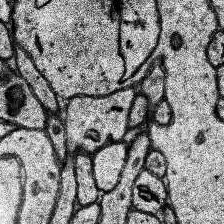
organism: Human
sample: Temporal Lobe